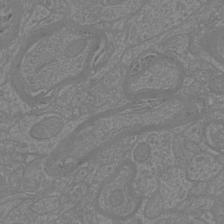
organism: Mouse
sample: Cortical neurons